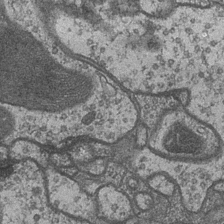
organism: Drosophila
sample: Optic medulla